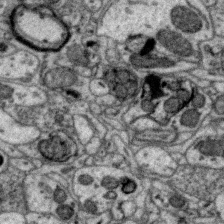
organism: Zebra finch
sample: Brain